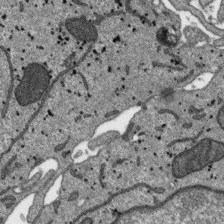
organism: Human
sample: Lung epithelial cells, uninfected (mock) control